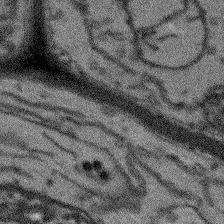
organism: Arabidopsis thaliana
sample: Root tip